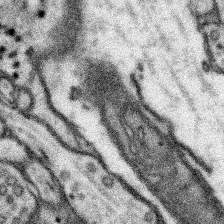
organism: Mouse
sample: Somatosensory cortex neuropil